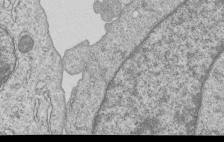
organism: Human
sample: MDA-MB-231 cells